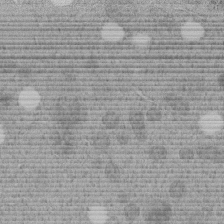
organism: C. elegans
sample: C. elegans embryo early stage